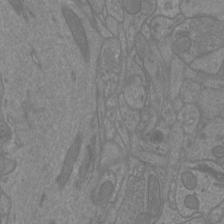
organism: Mouse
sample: Cortical neurons